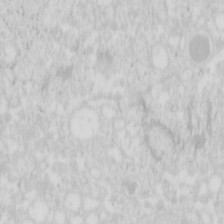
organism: Mouse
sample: Pancreas